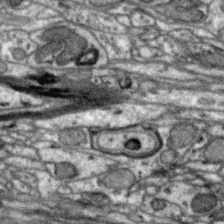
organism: Zebra finch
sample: Brain